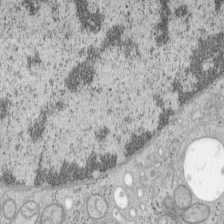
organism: Mouse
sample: OT-I killer T cells with ID8 ovarian cancer cells